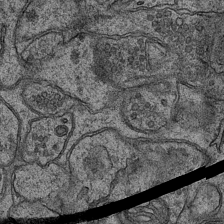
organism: Mouse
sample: CA1 Hippocampus